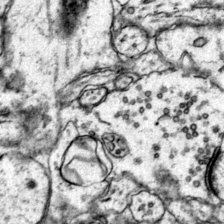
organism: Mouse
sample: Primary visual cortex